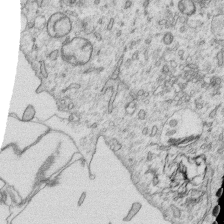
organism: Human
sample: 1205lu cells